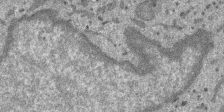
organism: Human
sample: Lung epithelial cells infected with SARS-CoV-2